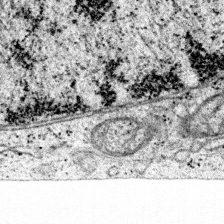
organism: Human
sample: HeLa cells